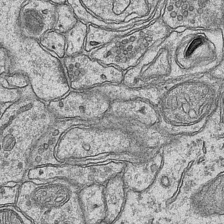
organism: Mouse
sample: CA1 Hippocampus